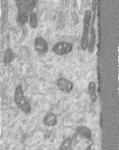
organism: Human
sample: Centriole in RPE cells